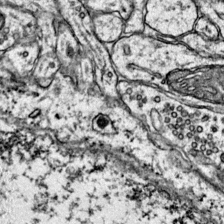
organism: Mouse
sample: Primary visual cortex